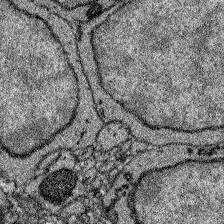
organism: Zebrafish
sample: Larval olfactory bulb